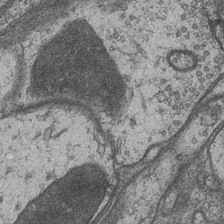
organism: Drosophila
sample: Optic medulla